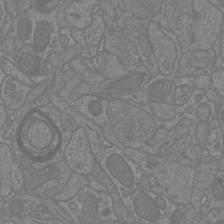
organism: Mouse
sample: Cortical neurons